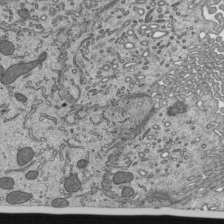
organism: Mouse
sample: Mouse epididymis efferent ductule cilia